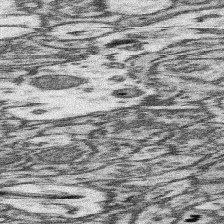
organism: Mouse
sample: Somatosensory cortex neuropil